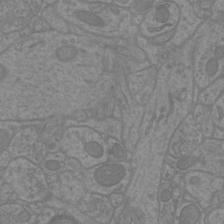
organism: Mouse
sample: Cortical neurons